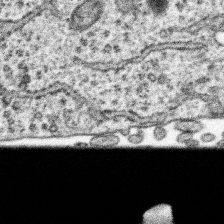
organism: Human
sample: HeLa cells